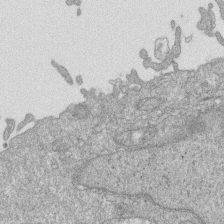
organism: Human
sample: HeLa cell HIV synapse